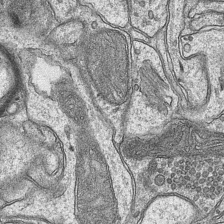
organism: Mouse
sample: CA1 Hippocampus